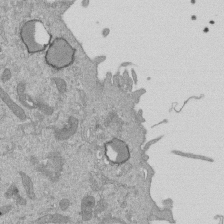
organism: Mouse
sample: ED-1 cell nuclei; centrioles